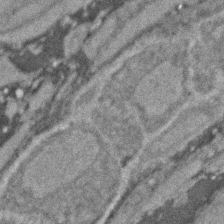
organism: Zebrafish